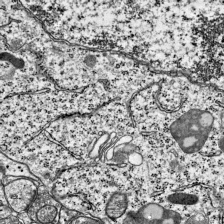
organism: Mouse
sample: Visual Cortex